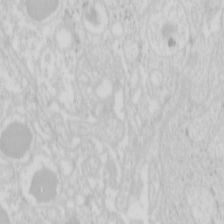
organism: Mouse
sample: Pancreas